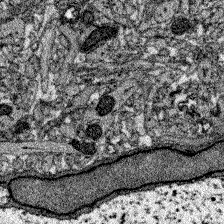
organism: Zebrafish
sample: Larval olfactory bulb